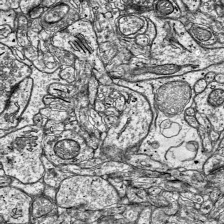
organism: Mouse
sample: Visual Cortex